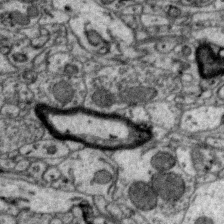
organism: Zebra finch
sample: Brain